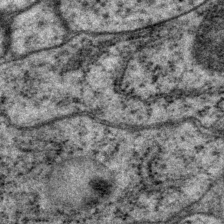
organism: P. pacificus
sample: Pharynx